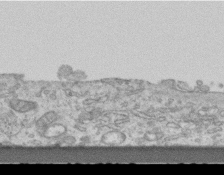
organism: Mouse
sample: Centriole in ependymal cells